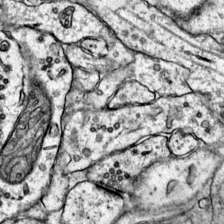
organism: Mouse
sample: Primary visual cortex